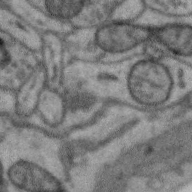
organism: Zebra finch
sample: Brain